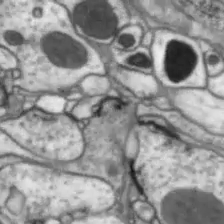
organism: Drosophila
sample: Optic lobe